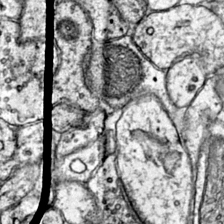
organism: Mouse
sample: Primary visual cortex